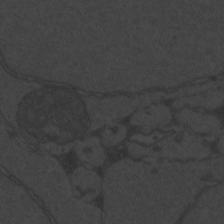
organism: Zebrafish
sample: Macrophage infected with Toxoplasma gondii